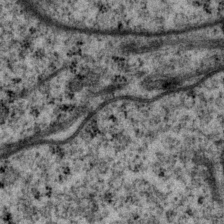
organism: P. pacificus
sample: Pharynx